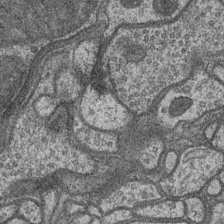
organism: Drosophila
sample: Optic medulla